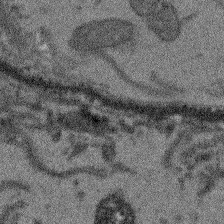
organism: Arabidopsis thaliana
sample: Root tip